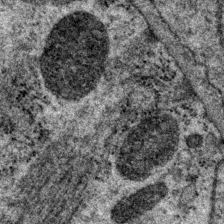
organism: P. pacificus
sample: Pharynx